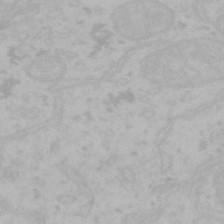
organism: Mouse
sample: Choroid plexus